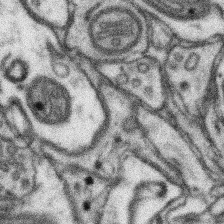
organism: Mouse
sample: Somatosensory cortex neuropil